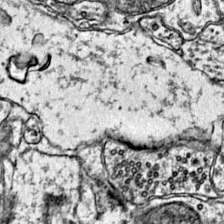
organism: Mouse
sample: Primary visual cortex